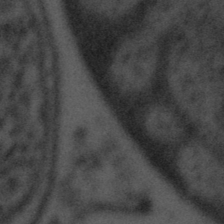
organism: Tuwongella immobilis